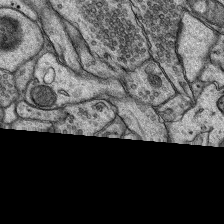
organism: Rat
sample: Hippocampus